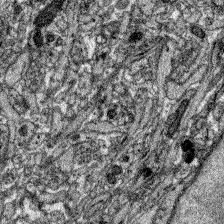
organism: Zebrafish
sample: Larval olfactory bulb